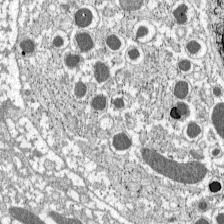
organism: C57BL Mouse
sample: Pancreatic islet